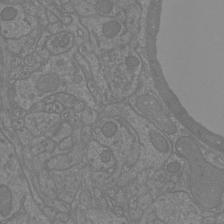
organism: Mouse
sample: Cortical neurons